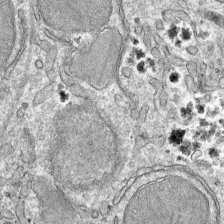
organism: Mouse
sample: Mouse hepatocytes